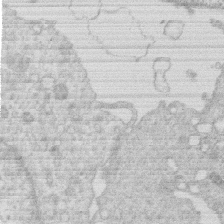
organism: Human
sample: Macrophage cells